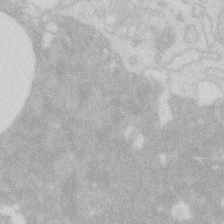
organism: Zebrafish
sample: Macrophage